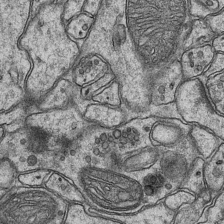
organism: Mouse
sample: CA1 Hippocampus